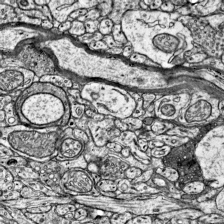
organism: Mouse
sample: Visual Cortex